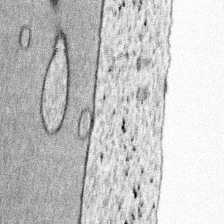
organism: Human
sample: HeLa cells